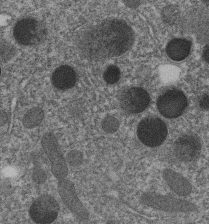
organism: C. elegans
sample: C. elegans embryo early stage